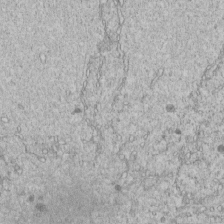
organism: C. elegans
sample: C. elegans embryo early stage